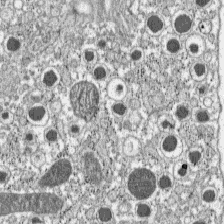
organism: C57BL Mouse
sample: Pancreatic islet